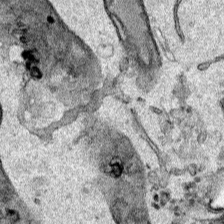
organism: Human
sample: Mitochondria in HCT116 cells